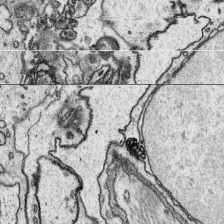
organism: Platynereis dumerilii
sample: Parapodia